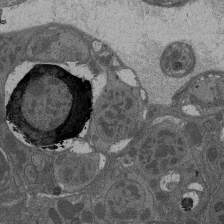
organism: Drosophila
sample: Antenna